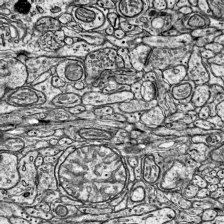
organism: Mouse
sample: Visual Cortex